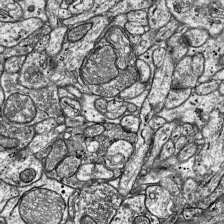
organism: Mouse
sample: Visual Cortex